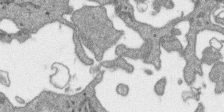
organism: Human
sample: Lung epithelial cells infected with SARS-CoV-2